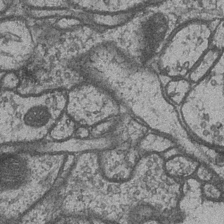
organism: Drosophila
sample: Optic medulla